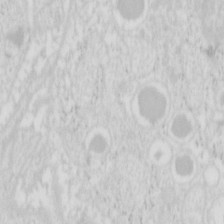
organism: Mouse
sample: Pancreas